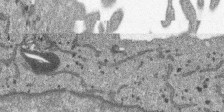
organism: Human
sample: Lung epithelial cells infected with SARS-CoV-2